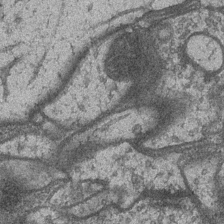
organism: Drosophila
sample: Optic medulla